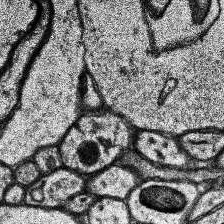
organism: Human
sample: Temporal Lobe